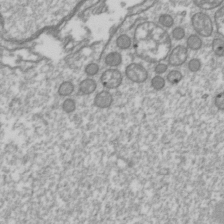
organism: Drosophila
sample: Cell division; meiosis; drosophila spermatocytes